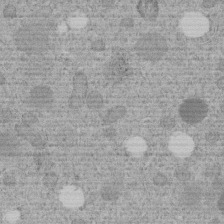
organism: C. elegans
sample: C. elegans embryo early stage